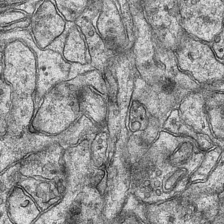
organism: Mouse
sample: CA1 Hippocampus